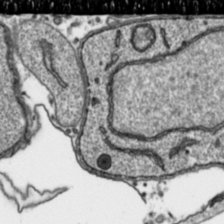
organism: Toxoplasma gondii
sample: Parasites in a vacuole inside a host cell